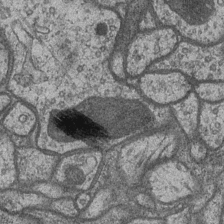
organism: Drosophila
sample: Optic medulla